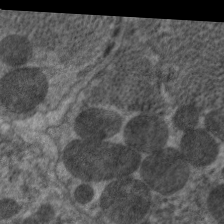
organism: C. elegans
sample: Pharynx